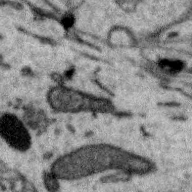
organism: Zebra finch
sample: Brain